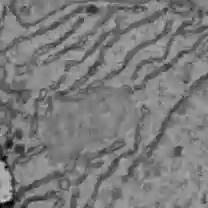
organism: C57BL Mouse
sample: Liver